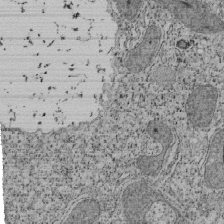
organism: Tetrahymena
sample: Cilia in tetrahymena